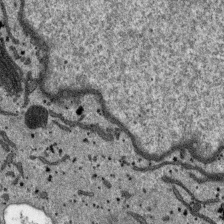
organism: Human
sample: Lung epithelial cells, uninfected (mock) control